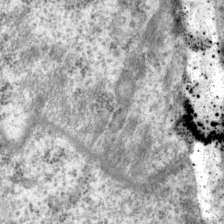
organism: P. pacificus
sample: Pharynx